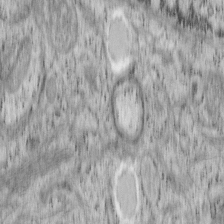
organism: Human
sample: HeLa cells